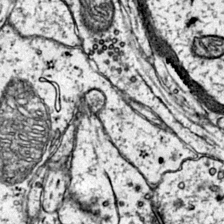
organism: Mouse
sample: Primary visual cortex